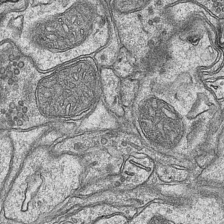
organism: Mouse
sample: CA1 Hippocampus